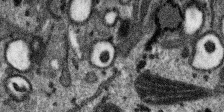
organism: Human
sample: Lung epithelial cells infected with SARS-CoV-2